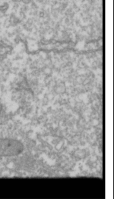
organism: Drosophila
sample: Cell division; meiosis; drosophila spermatocytes